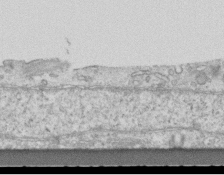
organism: Mouse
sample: Centriole in ependymal cells